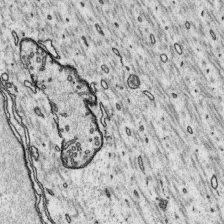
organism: Platynereis dumerilii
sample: Parapodia